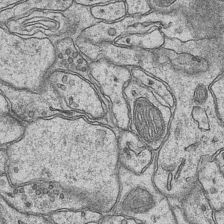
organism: Mouse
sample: CA1 Hippocampus